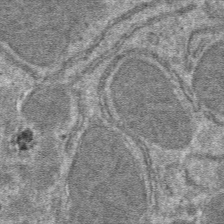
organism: Mouse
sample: Mouse hepatocytes